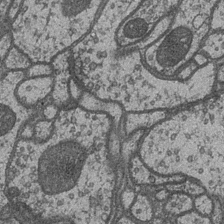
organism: Drosophila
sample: Optic medulla